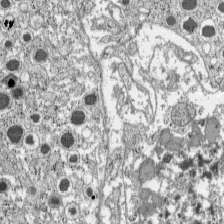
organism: C57BL Mouse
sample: Pancreatic islet